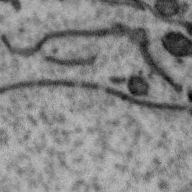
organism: Zebra finch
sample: Brain